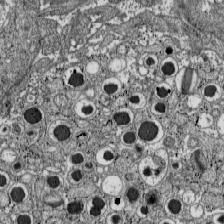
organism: C57BL Mouse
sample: Pancreatic islet